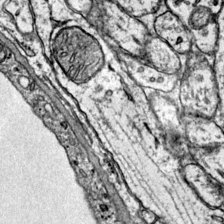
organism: Mouse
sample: Primary visual cortex